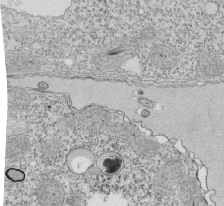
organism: Tetrahymena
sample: Cilia in tetrahymena